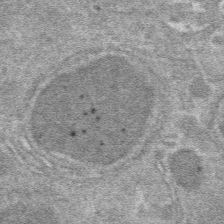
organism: Mouse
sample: Mouse hepatocytes